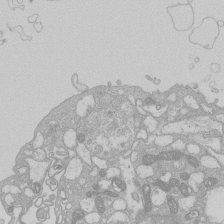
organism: Human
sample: Macrophage cells